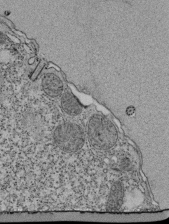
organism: Tetrahymena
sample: Cilia in tetrahymena